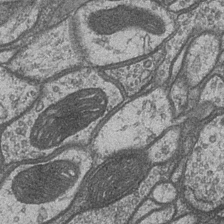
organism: Drosophila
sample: Optic medulla